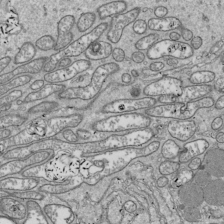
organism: Drosophila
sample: Cell division; meiosis; drosophila spermatocytes